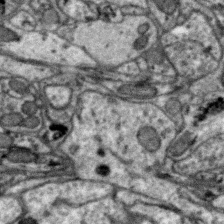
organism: Zebra finch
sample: Brain